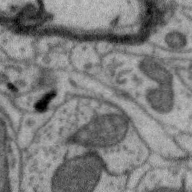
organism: Zebra finch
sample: Brain